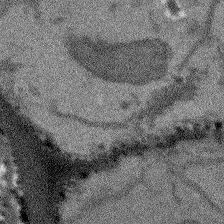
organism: Arabidopsis thaliana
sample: Root tip